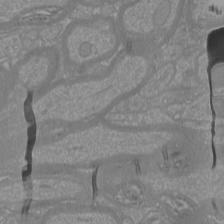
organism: Mouse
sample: Cortical neurons